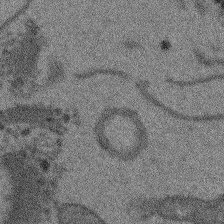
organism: Arabidopsis thaliana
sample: Root tip